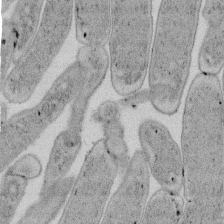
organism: E. coli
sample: Bacterial nucleoid